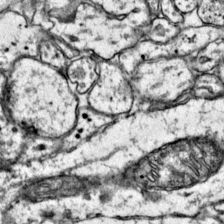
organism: Mouse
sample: Primary visual cortex